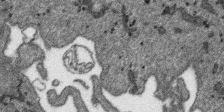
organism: Human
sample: Lung epithelial cells infected with SARS-CoV-2